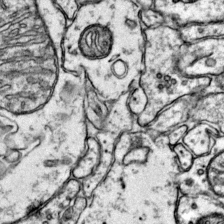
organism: Mouse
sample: Primary visual cortex